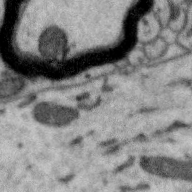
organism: Zebra finch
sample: Brain